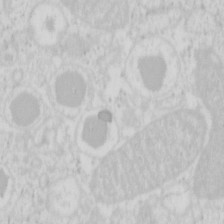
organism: Mouse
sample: Pancreas